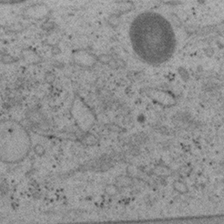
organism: Human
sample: HeLa cells